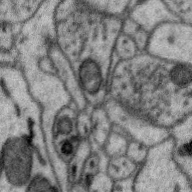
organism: Zebra finch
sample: Brain